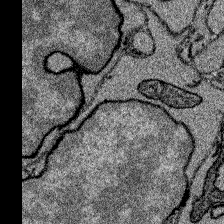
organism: Zebrafish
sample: Larval olfactory bulb